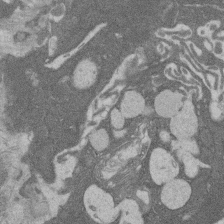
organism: Rat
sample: Salivary granule